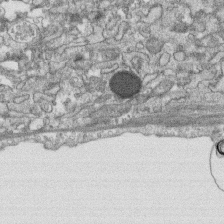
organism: Human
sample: CRL-1474